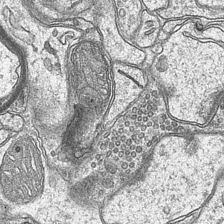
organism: Mouse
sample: CA1 Hippocampus